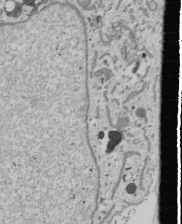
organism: Human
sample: Mitochondria in U2OS cells